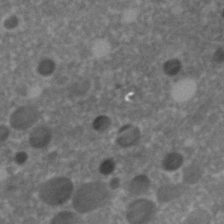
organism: C. elegans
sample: C. elegans embryo